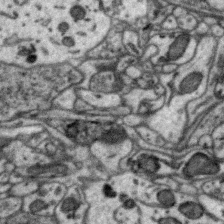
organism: Zebra finch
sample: Brain